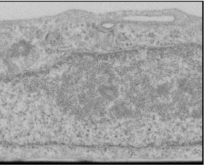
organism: Human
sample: Cilia; basal body in RPE cells